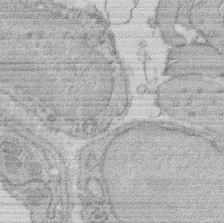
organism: Rat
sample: Salivary granule